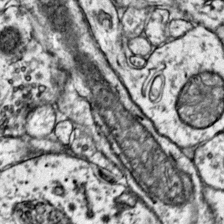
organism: Mouse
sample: Primary visual cortex